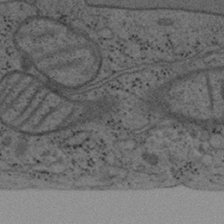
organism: Human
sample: HeLa cells